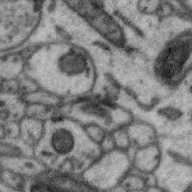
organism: Zebra finch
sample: Brain